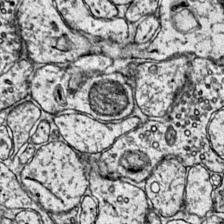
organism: Mouse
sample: Primary visual cortex